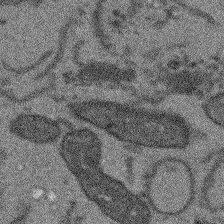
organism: Arabidopsis thaliana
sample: Root tip